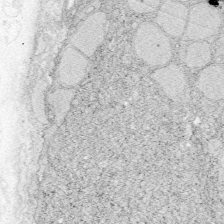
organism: Zebrafish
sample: Whole-Brain